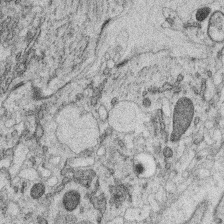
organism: C. elegans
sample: C. elegans oocyte; sperm cells